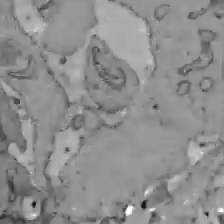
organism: C57BL Mouse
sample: Liver